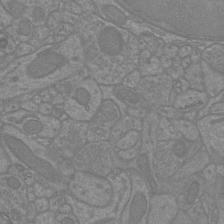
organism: Mouse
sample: Cortical neurons